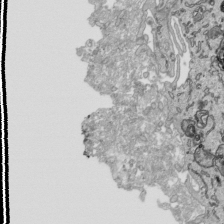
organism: Human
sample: Mitochondria in HCT116 cells